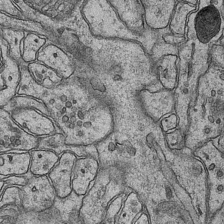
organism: Mouse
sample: CA1 Hippocampus